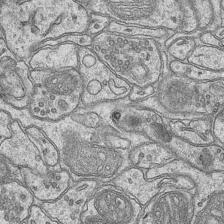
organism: Mouse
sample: CA1 Hippocampus